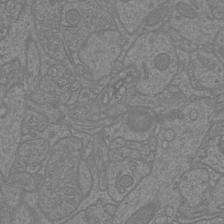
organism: Mouse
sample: Cortical neurons